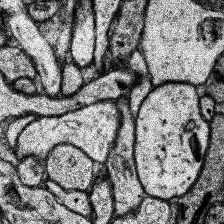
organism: Human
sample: Temporal Lobe